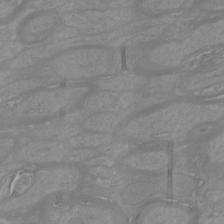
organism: Mouse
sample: Cortical neurons